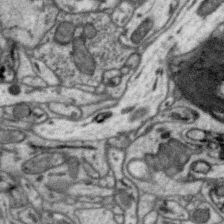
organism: Zebra finch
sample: Brain